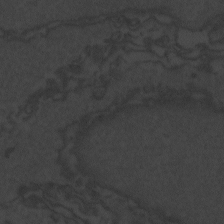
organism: Zebrafish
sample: Macrophage infected with Toxoplasma gondii